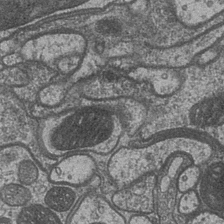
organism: Drosophila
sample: Optic medulla